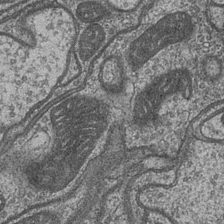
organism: Drosophila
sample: Optic medulla